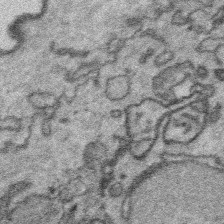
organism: Platynereis dumerilii